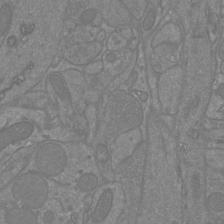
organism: Mouse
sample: Cortical neurons